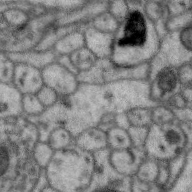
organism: Zebra finch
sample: Brain